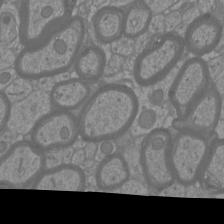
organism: Mouse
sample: Cortical neurons